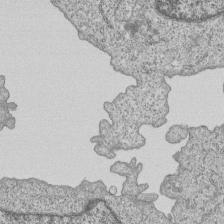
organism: Human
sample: MDA-MB-231 cells